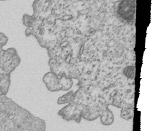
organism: Human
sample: MDA-MB-231 cells